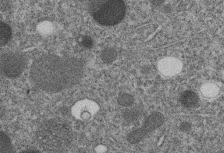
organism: C. elegans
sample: C. elegans embryo early stage